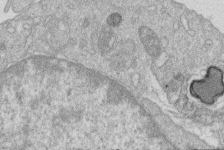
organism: Human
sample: Macrophage cells